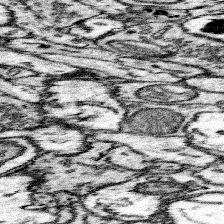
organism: Mouse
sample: Somatosensory cortex neuropil